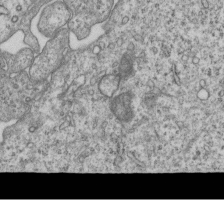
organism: Human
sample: MDA-MB-231 cells